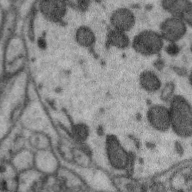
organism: Zebra finch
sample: Brain